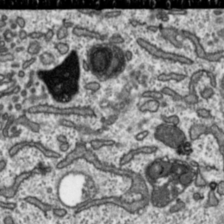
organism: Toxoplasma gondii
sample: Parasites in a vacuole inside a host cell